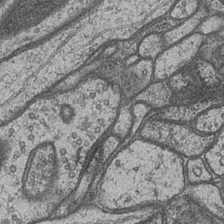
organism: Drosophila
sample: Optic medulla